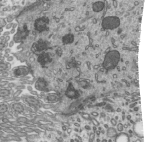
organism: Mouse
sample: Mouse epididymis efferent ductule cilia